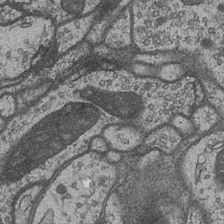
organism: Drosophila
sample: Optic medulla